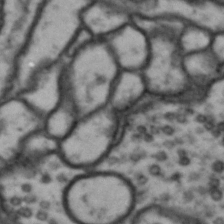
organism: Drosophila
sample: Brain